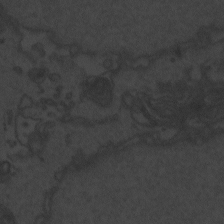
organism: Zebrafish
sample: Macrophage infected with Toxoplasma gondii